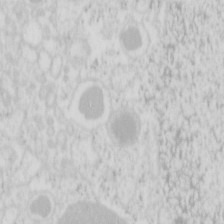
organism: Mouse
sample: Pancreas